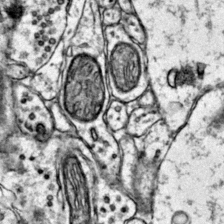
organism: Mouse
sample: Primary visual cortex